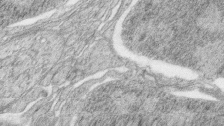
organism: Zebrafish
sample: synaptic ribbons in rod cells and cone cells